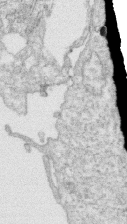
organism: Human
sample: HeLa cell HIV synapse